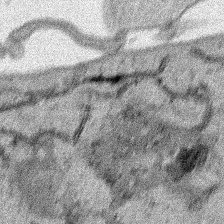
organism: Human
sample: Mitochondria in HCT116 cells